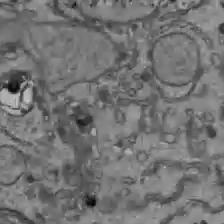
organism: C57BL Mouse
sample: Liver